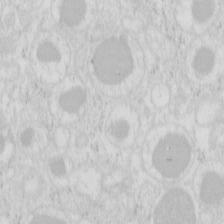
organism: Mouse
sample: Pancreas